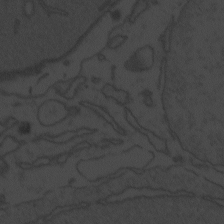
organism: Zebrafish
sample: Macrophage infected with Toxoplasma gondii